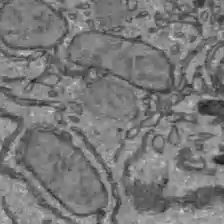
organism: C57BL Mouse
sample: Liver